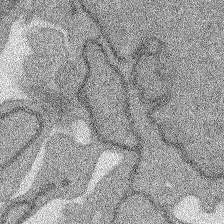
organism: Human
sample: HeLa cells